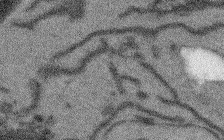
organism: Arabidopsis thaliana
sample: Root tip